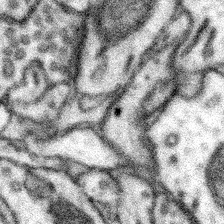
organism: Mouse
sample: Somatosensory cortex neuropil